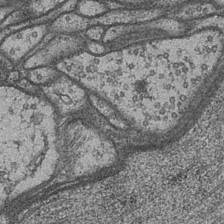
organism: Drosophila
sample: Optic medulla